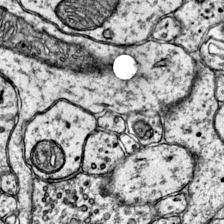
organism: Mouse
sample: Primary visual cortex